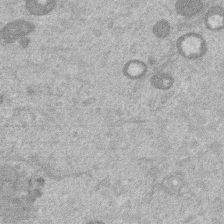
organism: Mouse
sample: Dividing mouse embryo 1 cell stage